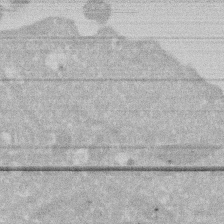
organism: Human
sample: HIV infected U937 cells